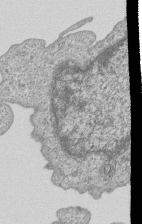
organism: Human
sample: MDA-MB-231 cells